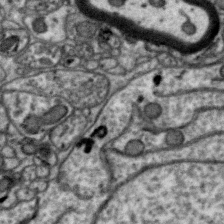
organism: Zebra finch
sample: Brain